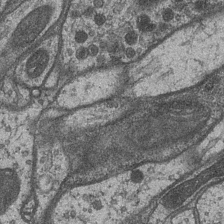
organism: Drosophila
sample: Optic medulla